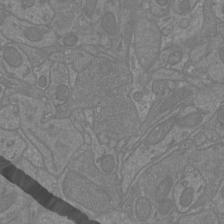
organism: Mouse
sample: Cortical neurons